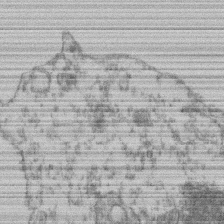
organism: Mouse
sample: T cell stromal cell synapse